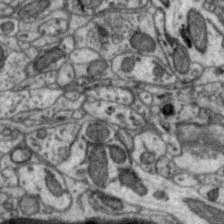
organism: Zebra finch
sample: Brain